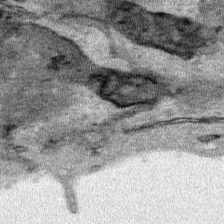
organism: Human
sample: Mitochondria in HCT116 cells